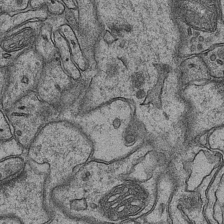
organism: Mouse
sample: CA1 Hippocampus